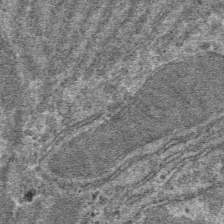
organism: Mouse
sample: Mouse hepatocytes